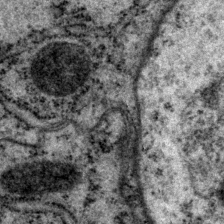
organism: P. pacificus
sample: Pharynx